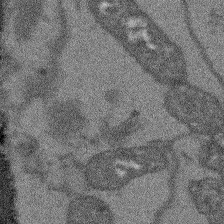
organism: Arabidopsis thaliana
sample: Root tip